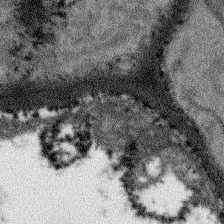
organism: Arabidopsis thaliana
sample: Root tip